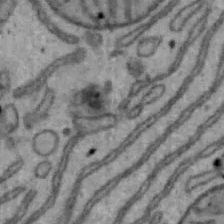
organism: Mouse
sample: Liver